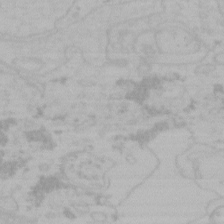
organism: Mouse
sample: Choroid plexus